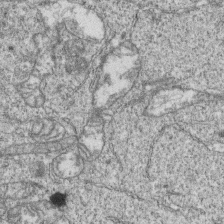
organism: Human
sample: HeLa cell HIV synapse